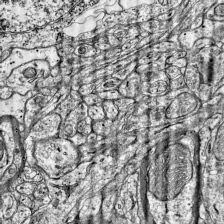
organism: Mouse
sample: Visual Cortex